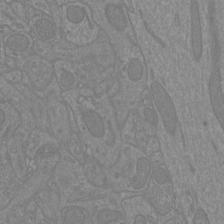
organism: Mouse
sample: Cortical neurons